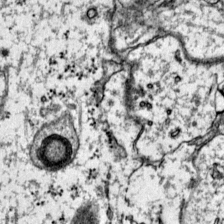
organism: Mouse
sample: Primary visual cortex